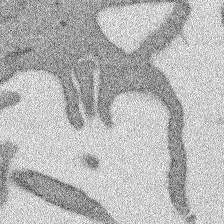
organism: Human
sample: HeLa cells